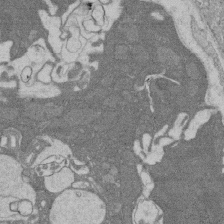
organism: Rat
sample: Salivary granule